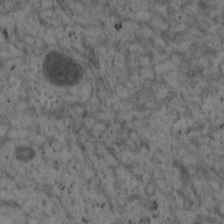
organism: Human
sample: HeLa cells